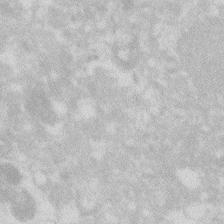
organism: Zebrafish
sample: Macrophage